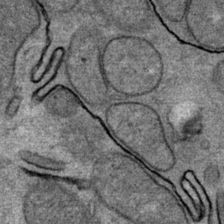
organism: Mouse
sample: Mouse Salivary gland